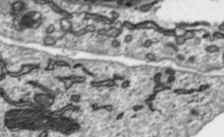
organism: Toxoplasma gondii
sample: Parasites in a vacuole inside a host cell